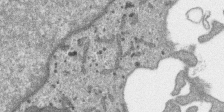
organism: Human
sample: Lung epithelial cells infected with SARS-CoV-2